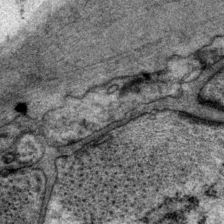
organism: P. pacificus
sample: Pharynx